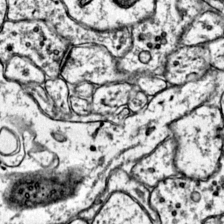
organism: Mouse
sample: Primary visual cortex